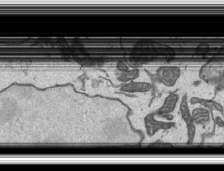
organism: Human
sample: Mitochondria in HCT116 cells